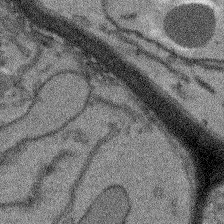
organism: Arabidopsis thaliana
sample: Root tip